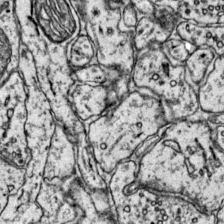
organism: Mouse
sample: Primary visual cortex